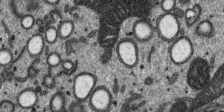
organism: Human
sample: Lung epithelial cells infected with SARS-CoV-2